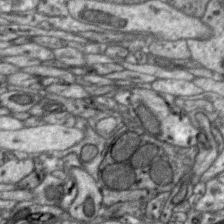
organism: Zebra finch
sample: Brain